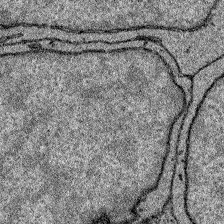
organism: Zebrafish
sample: Larval olfactory bulb